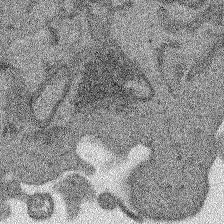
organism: Human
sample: HeLa cells